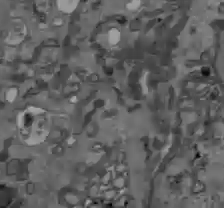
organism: C57BL Mouse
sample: Liver